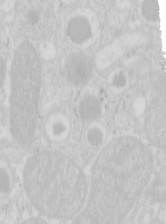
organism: Mouse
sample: Pancreas